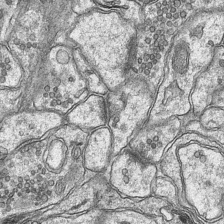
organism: Mouse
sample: CA1 Hippocampus